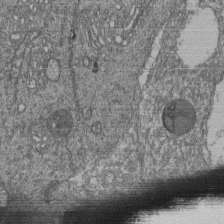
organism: Human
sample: Retinal organoid Rod and Cone cells